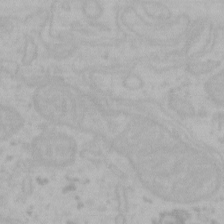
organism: Mouse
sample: Choroid plexus